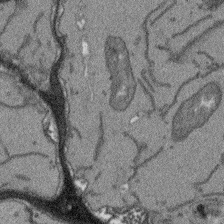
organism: Arabidopsis thaliana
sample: Root tip